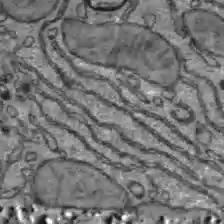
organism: C57BL Mouse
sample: Liver